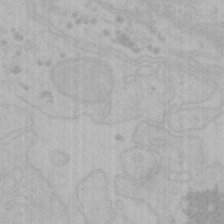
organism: Mouse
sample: Choroid plexus